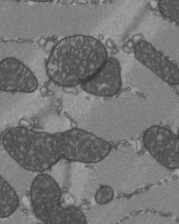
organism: C57BL Mouse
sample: Heart